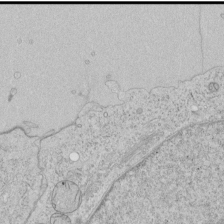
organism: Human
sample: Mitochondria in HCT116 cells